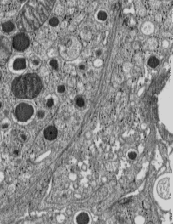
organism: C57BL Mouse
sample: Pancreatic islet